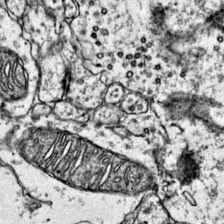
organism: Mouse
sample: Primary visual cortex